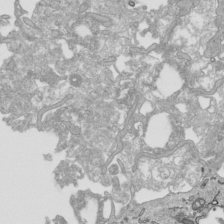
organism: Human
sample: Mitochondria in HCT116 cells